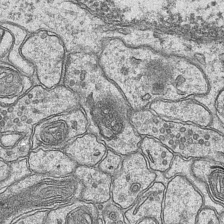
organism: Mouse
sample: CA1 Hippocampus